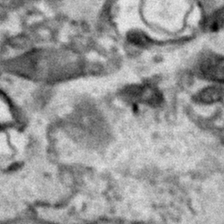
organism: Human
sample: Mitochondria in HCT116 cells